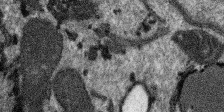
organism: Human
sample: Lung epithelial cells infected with SARS-CoV-2